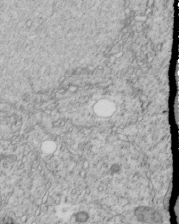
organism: C. elegans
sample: C. elegans embryo early stage